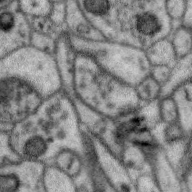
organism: Zebra finch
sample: Brain